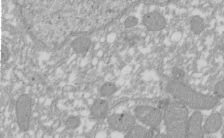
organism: Xenopus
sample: Cilia; centrioles in frog embryo cells